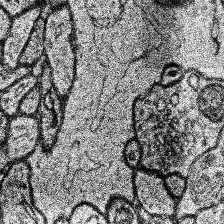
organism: Human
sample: Temporal Lobe